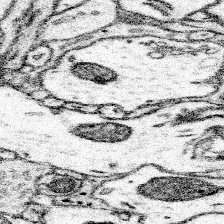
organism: Mouse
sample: Somatosensory cortex neuropil